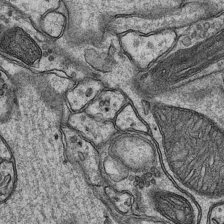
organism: Mouse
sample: CA1 Hippocampus